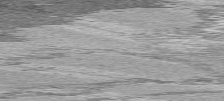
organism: C57BL Mouse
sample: Heart